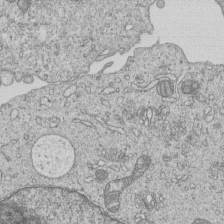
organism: Human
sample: MDA-MB-231 cells